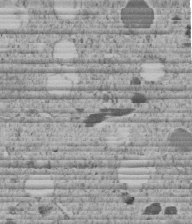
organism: C. elegans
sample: C. elegans embryo early stage